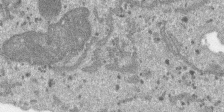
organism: Human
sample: Lung epithelial cells infected with SARS-CoV-2